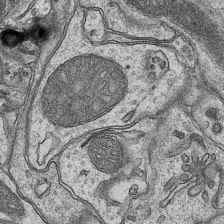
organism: Mouse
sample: CA1 Hippocampus